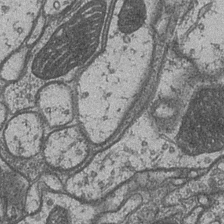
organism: Drosophila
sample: Optic medulla